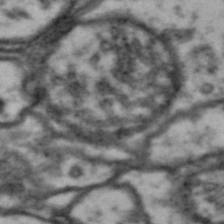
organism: Drosophila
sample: Brain